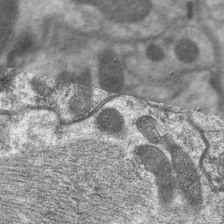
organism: C. elegans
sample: Pharynx